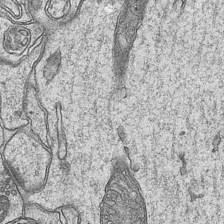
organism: Mouse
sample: CA1 Hippocampus